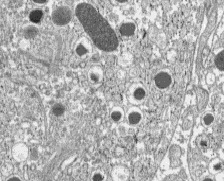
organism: C57BL Mouse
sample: Pancreatic islet